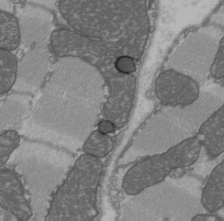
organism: C57BL Mouse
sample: Heart